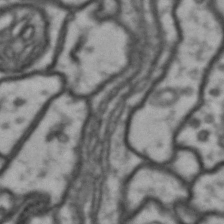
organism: Drosophila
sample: Brain